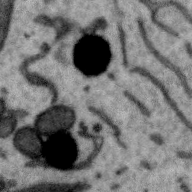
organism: Zebra finch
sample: Brain